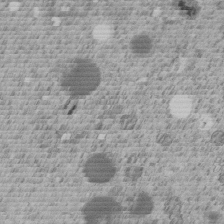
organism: C. elegans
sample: C. elegans embryo early stage